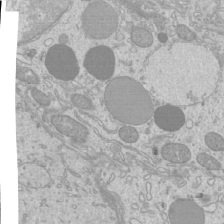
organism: Mouse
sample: Cilia; mouse epididymis